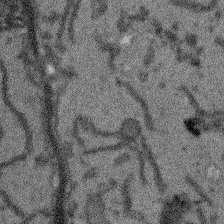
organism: Arabidopsis thaliana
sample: Root tip